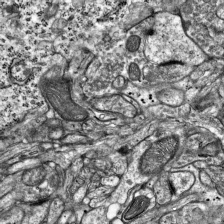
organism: Mouse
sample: Visual Cortex